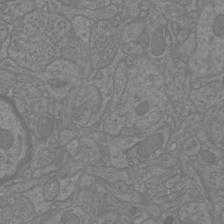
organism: Mouse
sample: Cortical neurons